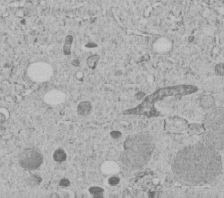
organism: C. elegans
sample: C. elegans embryo early stage